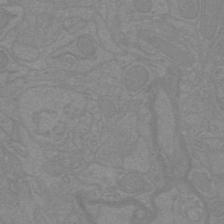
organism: Mouse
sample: Cortical neurons